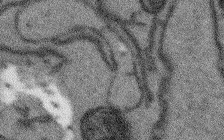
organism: Arabidopsis thaliana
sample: Root tip